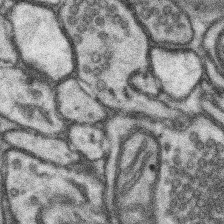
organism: Mouse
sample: Somatosensory cortex neuropil